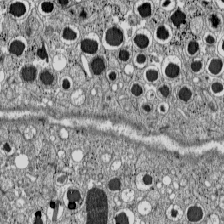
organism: C57BL Mouse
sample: Pancreatic islet